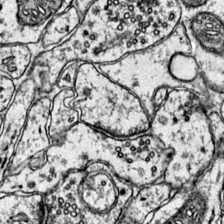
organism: Mouse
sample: Primary visual cortex